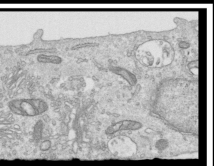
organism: Human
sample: Centriole in RPE cells